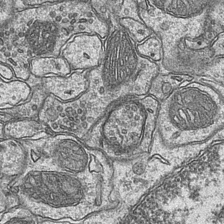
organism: Mouse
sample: CA1 Hippocampus